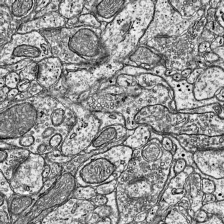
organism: Mouse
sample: Visual Cortex